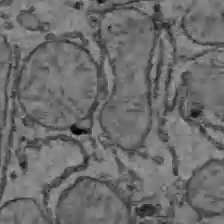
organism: C57BL Mouse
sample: Liver